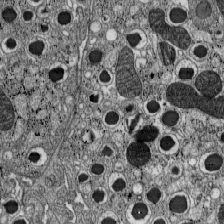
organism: C57BL Mouse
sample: Pancreatic islet